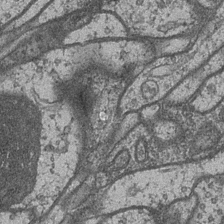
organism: Drosophila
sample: Optic medulla